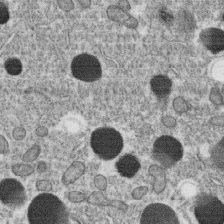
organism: C. elegans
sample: C. elegans oocyte; sperm cells